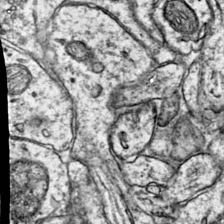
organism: Mouse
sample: Primary visual cortex